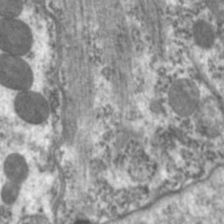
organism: C. elegans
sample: Pharynx